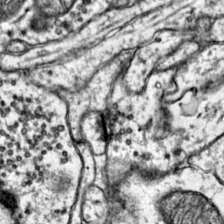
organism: Mouse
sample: Primary visual cortex